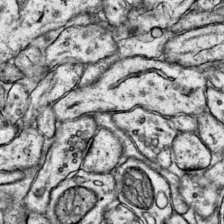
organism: Mouse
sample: Primary visual cortex